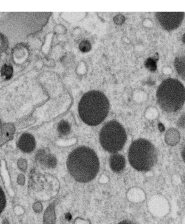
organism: C. elegans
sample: C. elegans oocyte; sperm cells